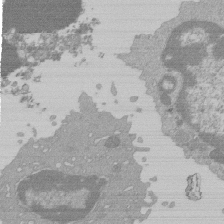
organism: Mouse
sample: Activated Pmel transgenic CD8+ T Cells